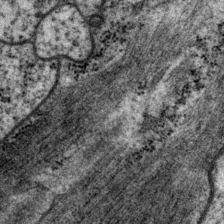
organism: P. pacificus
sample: Pharynx